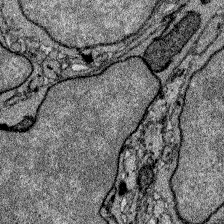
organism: Zebrafish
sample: Larval olfactory bulb